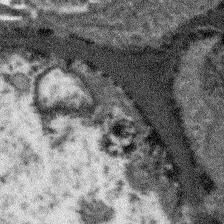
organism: Arabidopsis thaliana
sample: Root tip